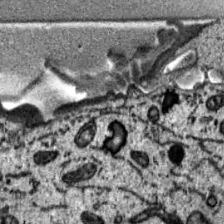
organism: Human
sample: HeLa cells